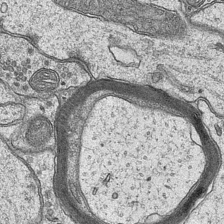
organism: Mouse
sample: CA1 Hippocampus